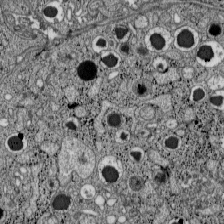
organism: C57BL Mouse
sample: Pancreatic islet